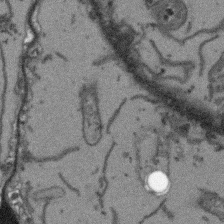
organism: Arabidopsis thaliana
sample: Root tip